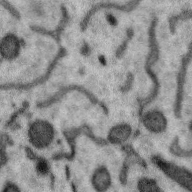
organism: Zebra finch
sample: Brain